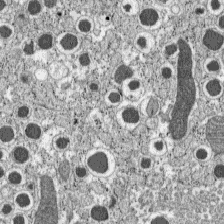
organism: C57BL Mouse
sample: Pancreatic islet